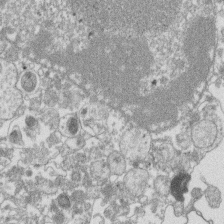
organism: Human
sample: HeLa cell HIV synapse